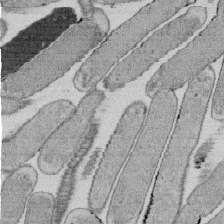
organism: E. coli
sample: Bacterial nucleoid